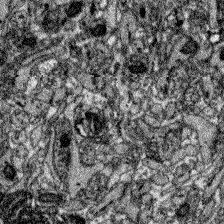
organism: Zebrafish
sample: Larval olfactory bulb